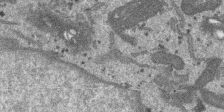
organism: Human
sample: Lung epithelial cells infected with SARS-CoV-2